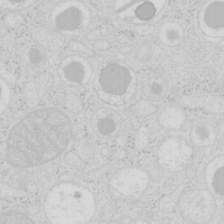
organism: Mouse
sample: Pancreas